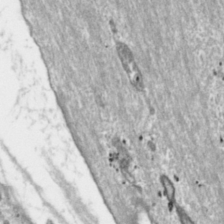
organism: Toxoplasma gondii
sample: Parasites in a vacuole inside a host cell